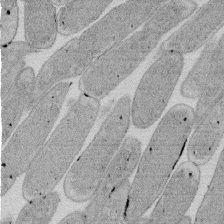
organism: E. coli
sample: Bacterial nucleoid